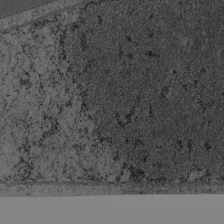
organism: African green monkey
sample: COS-7 cells